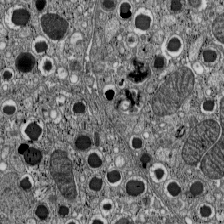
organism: C57BL Mouse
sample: Pancreatic islet